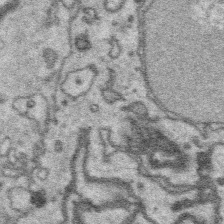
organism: Platynereis dumerilii